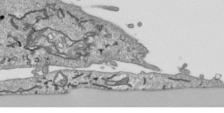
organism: Human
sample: Mitochondria in HCT116 cells